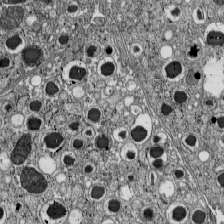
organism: C57BL Mouse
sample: Pancreatic islet